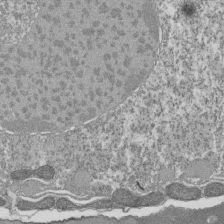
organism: Tetrahymena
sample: Cilia in tetrahymena